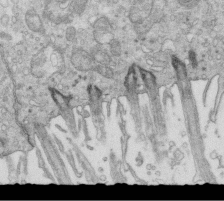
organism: Mouse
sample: Multiciliated cells